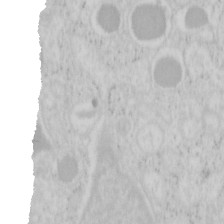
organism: Mouse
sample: Pancreas